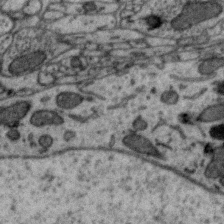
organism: Zebra finch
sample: Brain